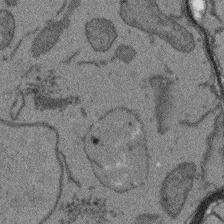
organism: Arabidopsis thaliana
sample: Root tip